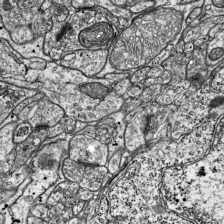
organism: Mouse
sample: Visual Cortex